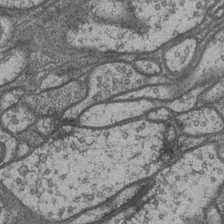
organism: Drosophila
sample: Optic medulla